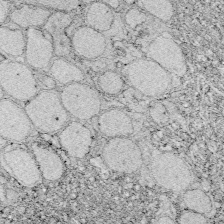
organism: Zebrafish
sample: Whole-Brain